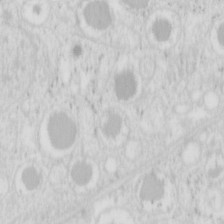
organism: Mouse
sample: Pancreas